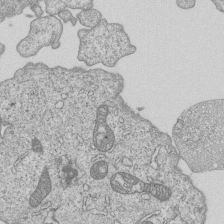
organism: Human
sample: MDA-MB-231 cells